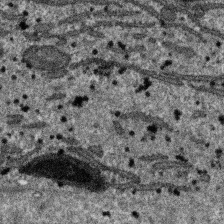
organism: Human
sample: Lung epithelial cells infected with SARS-CoV-2